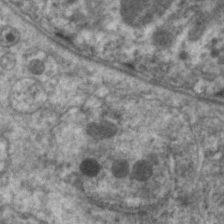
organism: C. elegans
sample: Pharynx